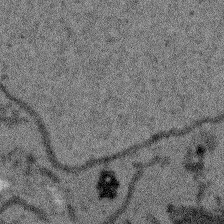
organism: Arabidopsis thaliana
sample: Root tip